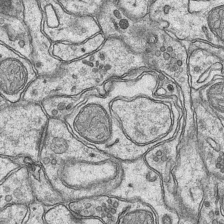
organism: Mouse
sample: CA1 Hippocampus